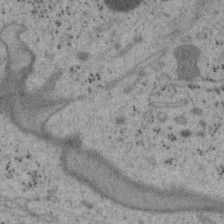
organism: Human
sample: HeLa cells